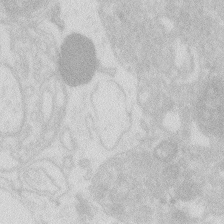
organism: Zebrafish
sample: Macrophage